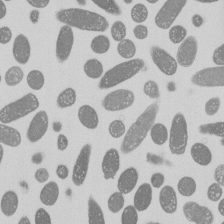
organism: E. coli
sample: Bacterial nucleoid